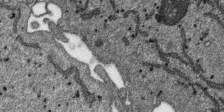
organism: Human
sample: Lung epithelial cells infected with SARS-CoV-2